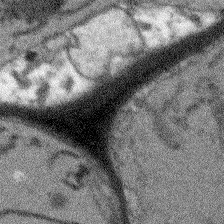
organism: Arabidopsis thaliana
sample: Root tip